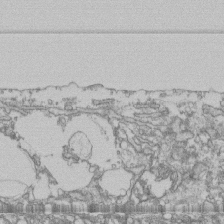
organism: Human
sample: Fibroblast cells